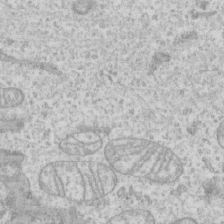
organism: Human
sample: CRL-1474